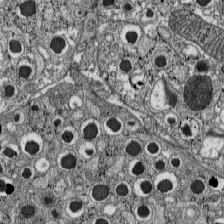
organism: C57BL Mouse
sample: Pancreatic islet